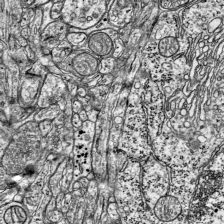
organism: Mouse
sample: Visual Cortex